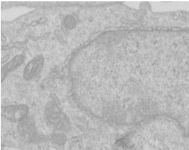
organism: Human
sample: Centriole in RPE cells